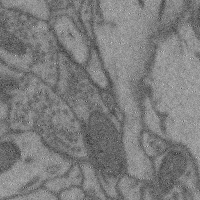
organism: Mouse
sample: Cerebral cortex